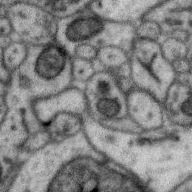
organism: Zebra finch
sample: Brain